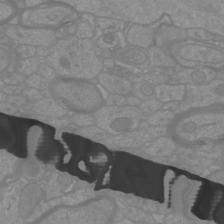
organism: Mouse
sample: Cortical neurons